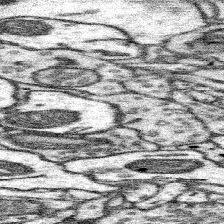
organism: Mouse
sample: Somatosensory cortex neuropil